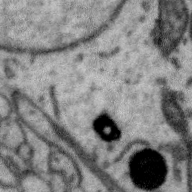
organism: Zebra finch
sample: Brain